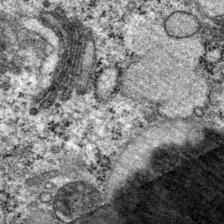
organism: P. pacificus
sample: Pharynx